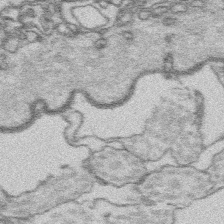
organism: Platynereis dumerilii